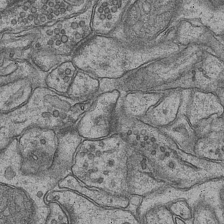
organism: Mouse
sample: CA1 Hippocampus